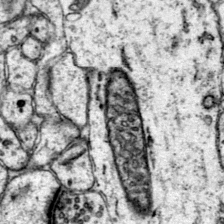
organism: Mouse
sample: Primary visual cortex